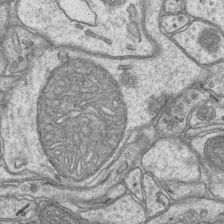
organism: Mouse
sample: CA1 Hippocampus